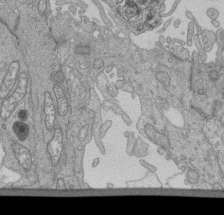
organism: Human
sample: Retinal organoid Rod and Cone cells